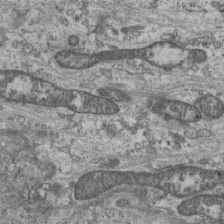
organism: Mouse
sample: Centriole in ependymal cells